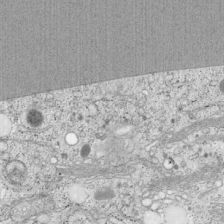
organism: African green monkey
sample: COS-7 cells